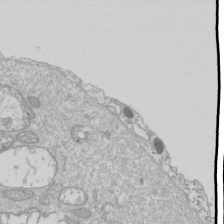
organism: Drosophila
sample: Cell division; meiosis; drosophila spermatocytes